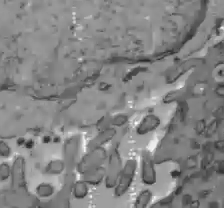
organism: C57BL Mouse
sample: Liver